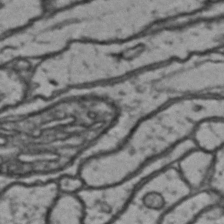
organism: Drosophila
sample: Brain